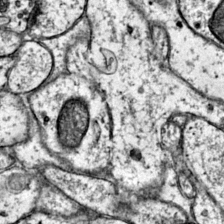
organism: Mouse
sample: Primary visual cortex